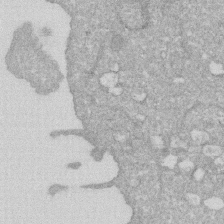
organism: Human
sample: HIV infected U937 cells